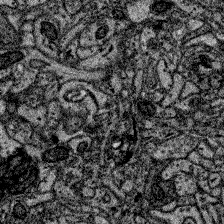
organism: Zebrafish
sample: Larval olfactory bulb